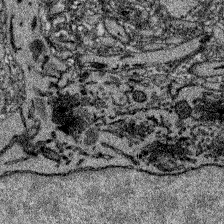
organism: Zebrafish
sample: Larval olfactory bulb